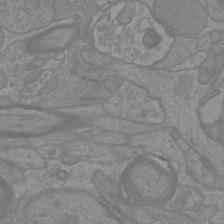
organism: Mouse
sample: Cortical neurons